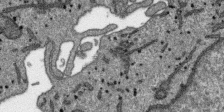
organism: Human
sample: Lung epithelial cells, uninfected (mock) control